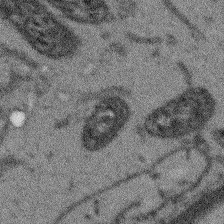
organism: Arabidopsis thaliana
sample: Root tip